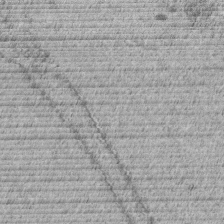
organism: C. elegans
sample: C. elegans embryo early stage